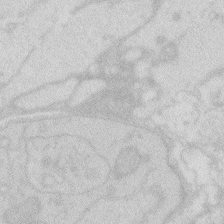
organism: Zebrafish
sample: Macrophage